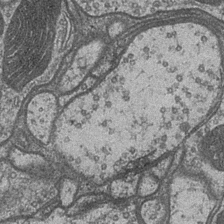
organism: Drosophila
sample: Optic medulla